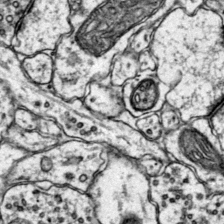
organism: Mouse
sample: Primary visual cortex